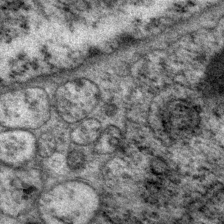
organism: P. pacificus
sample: Pharynx